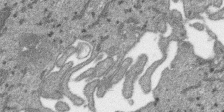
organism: Human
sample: Lung epithelial cells infected with SARS-CoV-2